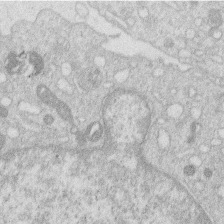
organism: Human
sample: Macrophage cells